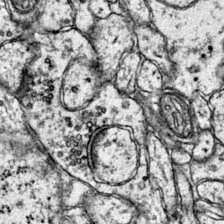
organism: Mouse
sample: Primary visual cortex